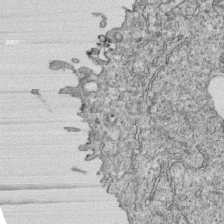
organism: Human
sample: HeLa cell HIV synapse